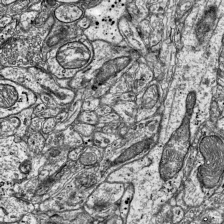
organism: Mouse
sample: Visual Cortex